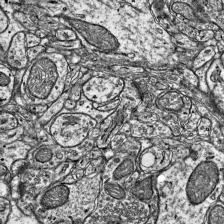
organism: Mouse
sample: Visual Cortex